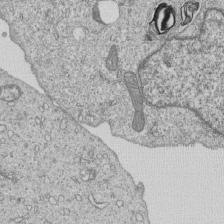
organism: Human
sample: MDA-MB-231 cells